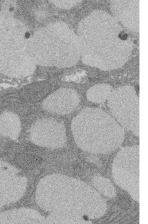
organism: Rat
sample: Salivary granule